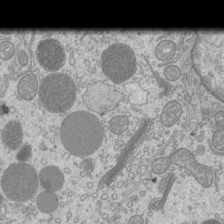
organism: Mouse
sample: Cilia; mouse epididymis